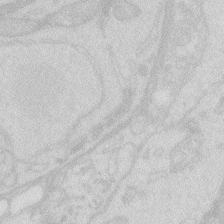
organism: Zebrafish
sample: Macrophage